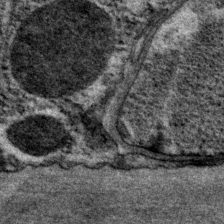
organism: P. pacificus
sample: Pharynx